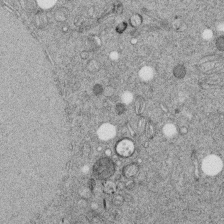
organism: C. elegans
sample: C. elegans embryo early stage